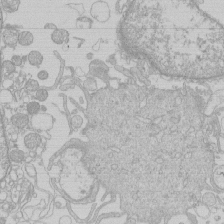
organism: Human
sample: Macrophage cells